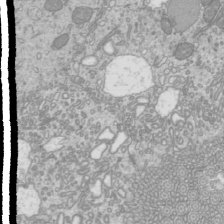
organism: Mouse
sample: Cilia; mouse epididymis